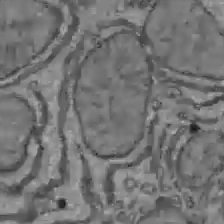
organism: C57BL Mouse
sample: Liver